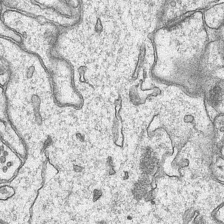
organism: Mouse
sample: CA1 Hippocampus